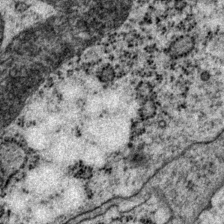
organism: P. pacificus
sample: Pharynx